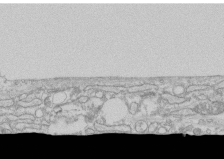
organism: Human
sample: CRL-1474